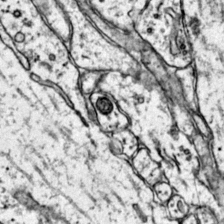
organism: Mouse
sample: Primary visual cortex